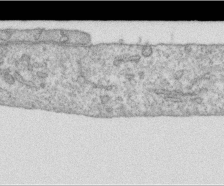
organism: Human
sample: Centriole in RPE cells